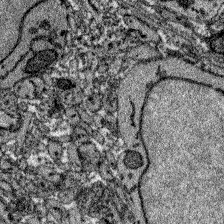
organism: Zebrafish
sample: Larval olfactory bulb